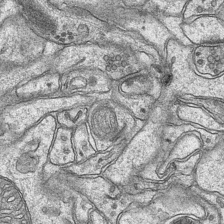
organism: Mouse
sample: CA1 Hippocampus